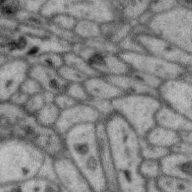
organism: Zebra finch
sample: Brain